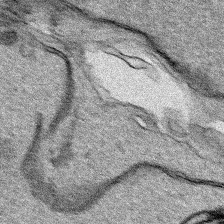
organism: Human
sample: Mitochondria in HCT116 cells